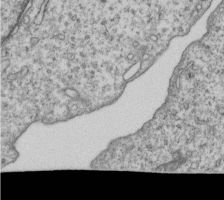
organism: Human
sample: MDA-MB-231 cells